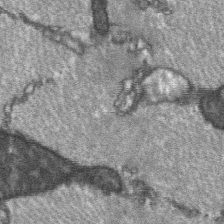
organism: C57BL Mouse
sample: Soleus